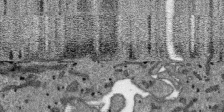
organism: Human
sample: Lung epithelial cells, uninfected (mock) control